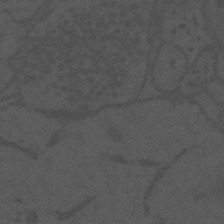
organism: Mouse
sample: Suprachiasmatic nucleus